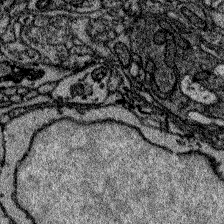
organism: Zebrafish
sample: Larval olfactory bulb